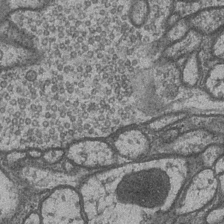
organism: Drosophila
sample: Optic medulla